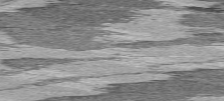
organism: C57BL Mouse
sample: Heart